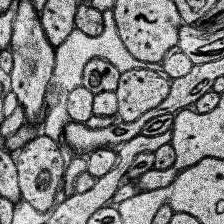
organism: Human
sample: Temporal Lobe